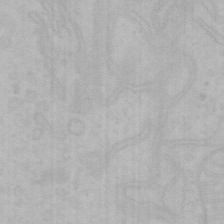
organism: Mouse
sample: Choroid plexus